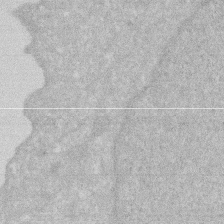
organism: Human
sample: HIV infected U937 cells